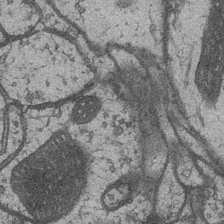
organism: Drosophila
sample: Optic medulla